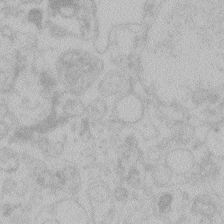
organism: Zebrafish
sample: Macrophage infected with Toxoplasma gondii